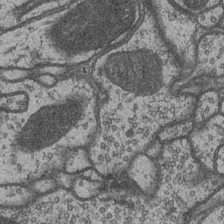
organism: Drosophila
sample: Optic medulla